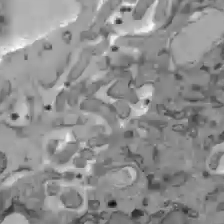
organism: C57BL Mouse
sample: Liver